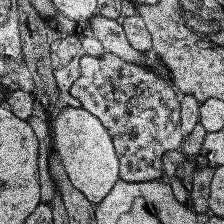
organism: Human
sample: Temporal Lobe